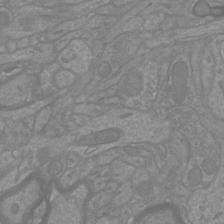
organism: Mouse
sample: Cortical neurons